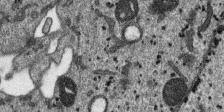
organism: Human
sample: Lung epithelial cells infected with SARS-CoV-2